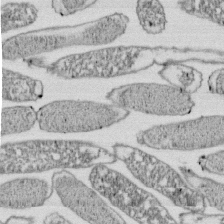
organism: E. coli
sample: Bacterial nucleoid